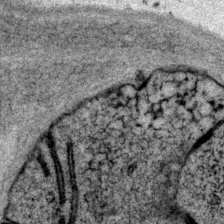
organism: P. pacificus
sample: Pharynx